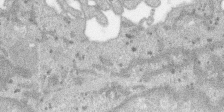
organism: Human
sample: Lung epithelial cells infected with SARS-CoV-2